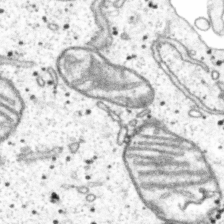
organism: Human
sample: HeLa cells